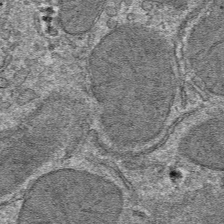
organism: Mouse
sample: Mouse hepatocytes